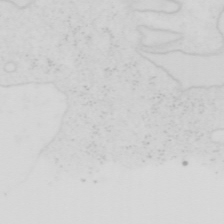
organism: Human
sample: SUM-159 cell